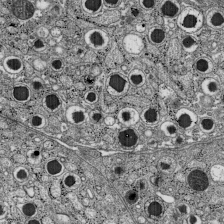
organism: C57BL Mouse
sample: Pancreatic islet